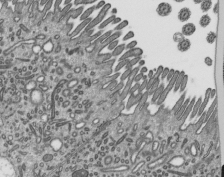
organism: Mouse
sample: Mouse epididymis efferent ductule cilia